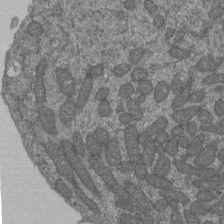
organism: Human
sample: Retinal organoid Rod and Cone cells